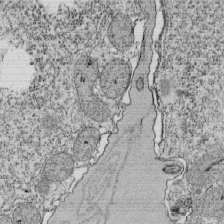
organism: Tetrahymena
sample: Cilia in tetrahymena